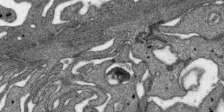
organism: Human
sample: Lung epithelial cells, uninfected (mock) control